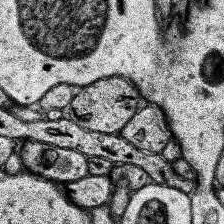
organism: Human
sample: Temporal Lobe